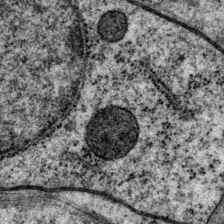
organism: P. pacificus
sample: Pharynx